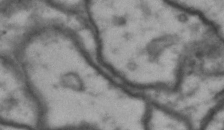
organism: Drosophila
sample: Brain